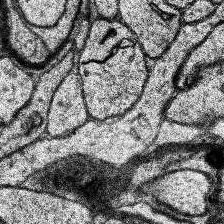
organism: Human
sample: Temporal Lobe